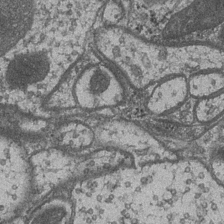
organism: Drosophila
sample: Optic medulla